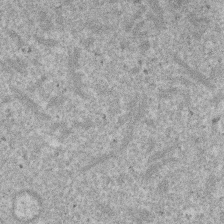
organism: Mouse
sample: Dividing mouse embryo 1 cell stage